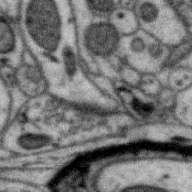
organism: Zebra finch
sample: Brain